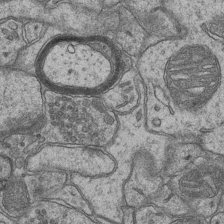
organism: Mouse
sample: CA1 Hippocampus